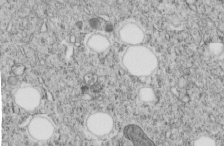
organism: C. elegans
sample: C. elegans embryo early stage